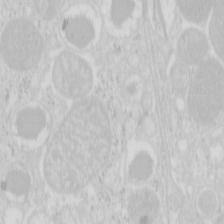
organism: Mouse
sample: Pancreas